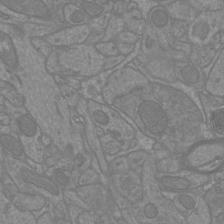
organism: Mouse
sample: Cortical neurons